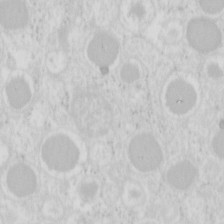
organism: Mouse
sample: Pancreas